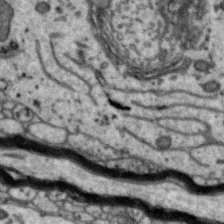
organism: Zebra finch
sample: Brain